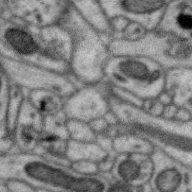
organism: Zebra finch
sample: Brain